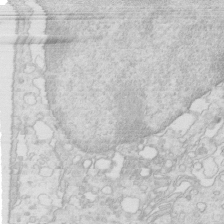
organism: Mouse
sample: Multiciliated cells